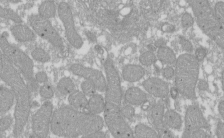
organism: Xenopus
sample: Cilia; centrioles in frog embryo cells